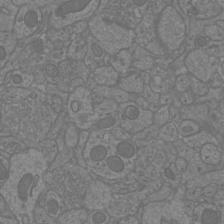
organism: Mouse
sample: Cortical neurons